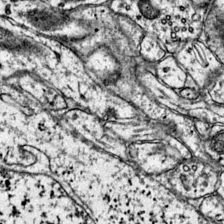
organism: Mouse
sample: Primary visual cortex